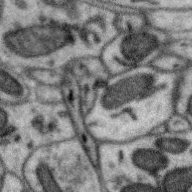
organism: Zebra finch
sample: Brain